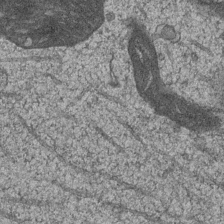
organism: Drosophila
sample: Optic medulla